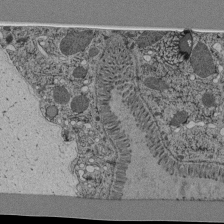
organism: C. elegans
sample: C. elegans pharynx